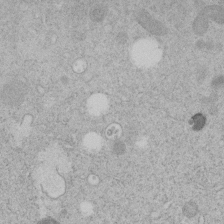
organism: C. elegans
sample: C. elegans embryo early stage